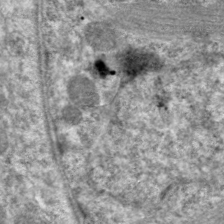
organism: C. elegans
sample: Pharynx